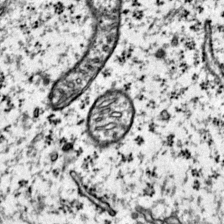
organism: Mouse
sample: Primary visual cortex